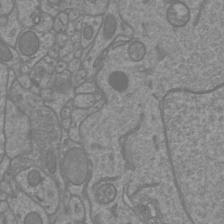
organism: Mouse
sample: Cortical neurons